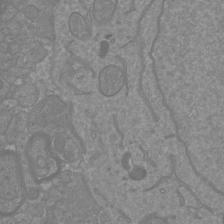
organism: Mouse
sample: Cortical neurons